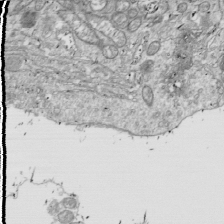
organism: Drosophila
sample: Cell division; meiosis; drosophila spermatocytes